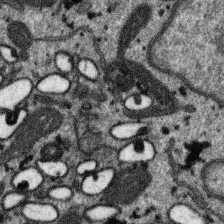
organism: Human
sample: Lung epithelial cells infected with SARS-CoV-2